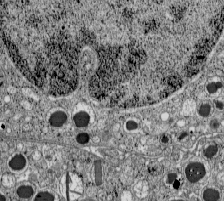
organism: C57BL Mouse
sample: Pancreatic islet